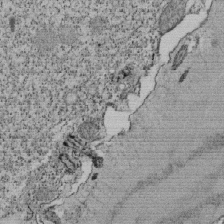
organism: Tetrahymena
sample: Cilia in tetrahymena